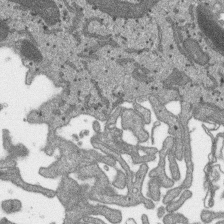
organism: Human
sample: Lung epithelial cells infected with SARS-CoV-2